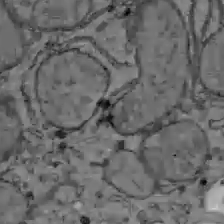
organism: C57BL Mouse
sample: Liver